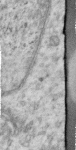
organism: Human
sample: Centriole in RPE cells